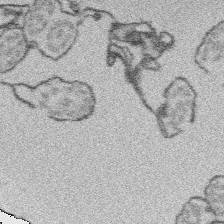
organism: Platynereis dumerilii